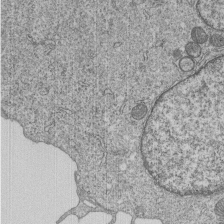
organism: Human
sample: MDA-MB-231 cells